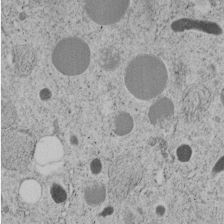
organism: C. elegans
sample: C. elegans embryo early stage